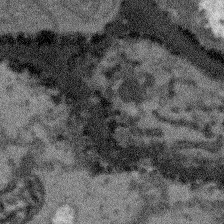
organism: Arabidopsis thaliana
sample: Root tip